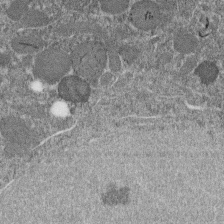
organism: C. elegans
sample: C. elegans embryo early stage